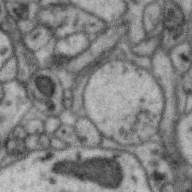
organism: Zebra finch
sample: Brain